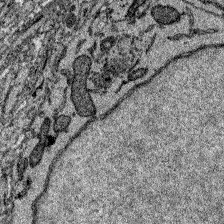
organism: Zebrafish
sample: Larval olfactory bulb